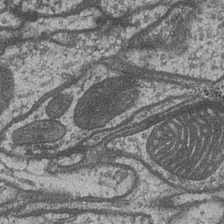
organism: Drosophila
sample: Optic medulla